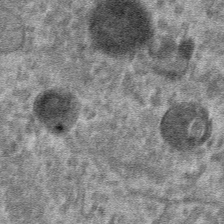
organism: Mouse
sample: Mouse hepatocytes